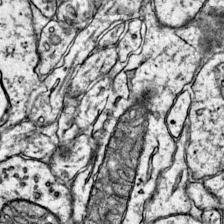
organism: Mouse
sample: Primary visual cortex